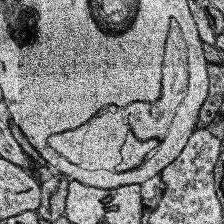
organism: Human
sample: Temporal Lobe